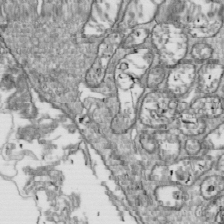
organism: Drosophila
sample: Cell division; meiosis; drosophila spermatocytes